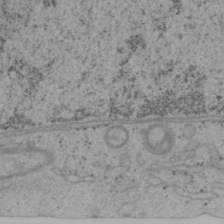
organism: Human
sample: HeLa cells